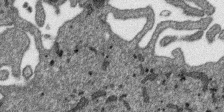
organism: Human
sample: Lung epithelial cells infected with SARS-CoV-2